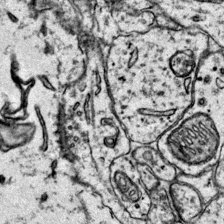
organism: Mouse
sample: Primary visual cortex